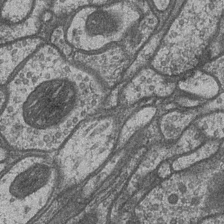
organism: Drosophila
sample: Optic medulla